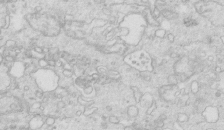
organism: Mouse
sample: Multiciliated cells